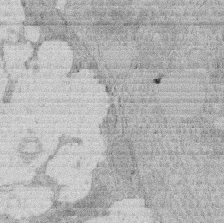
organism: Rat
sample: Salivary granule